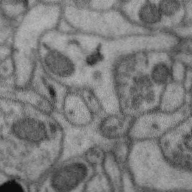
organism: Zebra finch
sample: Brain